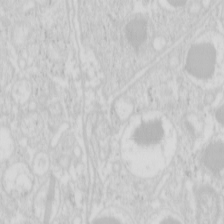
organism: Mouse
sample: Pancreas